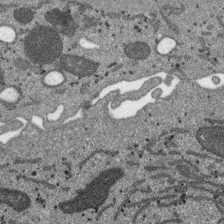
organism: Human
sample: Lung epithelial cells infected with SARS-CoV-2